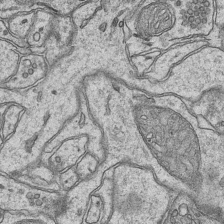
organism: Mouse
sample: CA1 Hippocampus